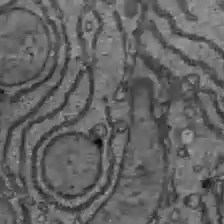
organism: C57BL Mouse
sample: Liver